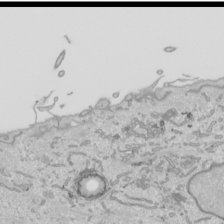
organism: Human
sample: Mitochondria in HCT116 cells